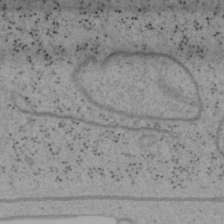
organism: Human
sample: HeLa cells